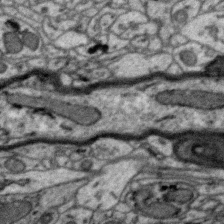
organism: Zebra finch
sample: Brain